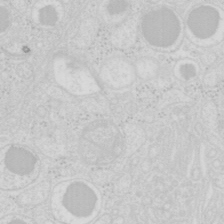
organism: Mouse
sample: Pancreas